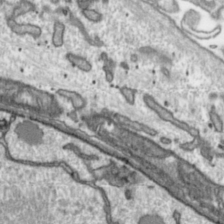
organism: Toxoplasma gondii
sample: Parasites in a vacuole inside a host cell